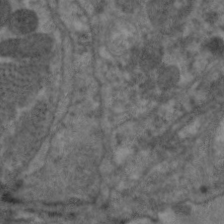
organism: C. elegans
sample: Pharynx